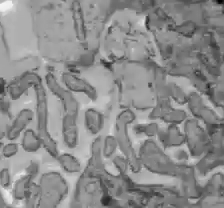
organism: C57BL Mouse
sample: Liver